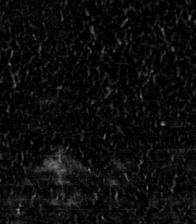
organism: Toxoplasma gondii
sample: Parasites in a vacuole inside a host cell